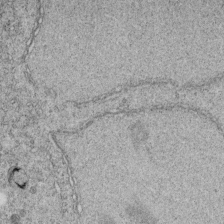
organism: C. elegans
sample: C. elegans embryo early stage